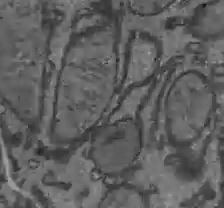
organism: C57BL Mouse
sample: Liver